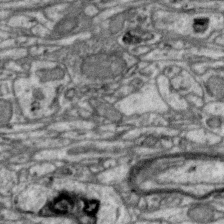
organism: Zebra finch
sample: Brain